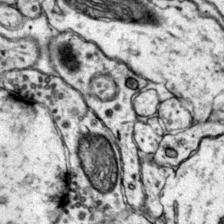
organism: Mouse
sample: Primary visual cortex